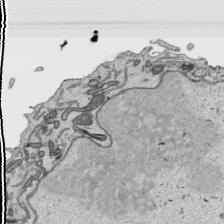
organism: Human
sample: Mitochondria in HCT116 cells